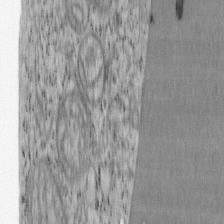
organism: Human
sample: HeLa cells